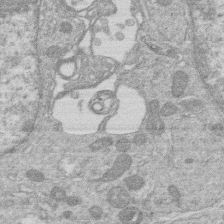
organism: Human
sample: Macrophage cells